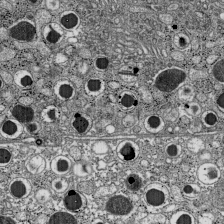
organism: C57BL Mouse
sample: Pancreatic islet